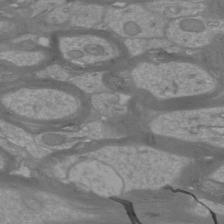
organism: Mouse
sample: Cortical neurons